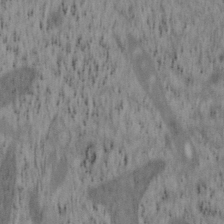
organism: Mouse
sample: OT-I killer T cells with ID8 ovarian cancer cells